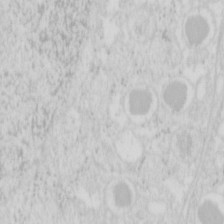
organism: Mouse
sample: Pancreas